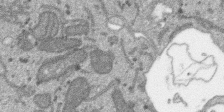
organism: Human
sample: Lung epithelial cells infected with SARS-CoV-2